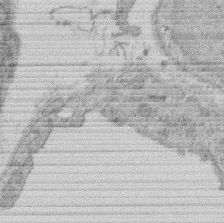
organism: Rat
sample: Salivary granule